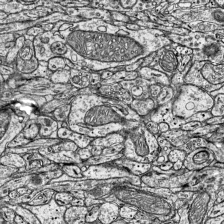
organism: Mouse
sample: Visual Cortex